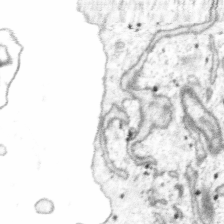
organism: Human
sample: HeLa cells